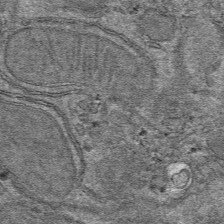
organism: Mouse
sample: Mouse hepatocytes